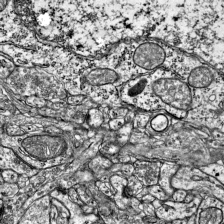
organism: Mouse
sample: Visual Cortex